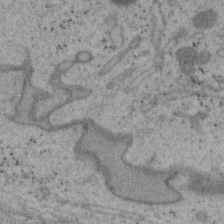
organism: Human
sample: HeLa cells